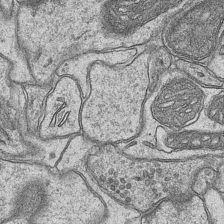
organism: Mouse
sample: CA1 Hippocampus